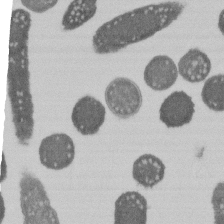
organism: E. coli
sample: Bacterial nucleoid